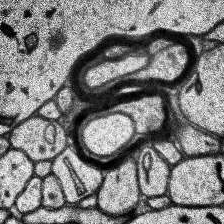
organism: Human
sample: Temporal Lobe